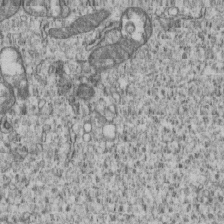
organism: Human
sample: MDA-MB-231 cells